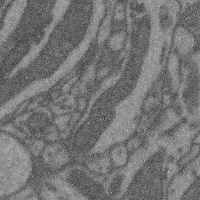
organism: Mouse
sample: Cerebral cortex